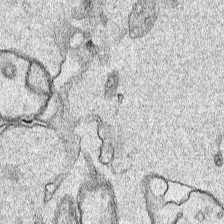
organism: Human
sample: Mitochondria in HCT116 cells